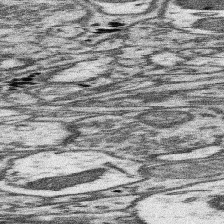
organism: Mouse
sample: Somatosensory cortex neuropil